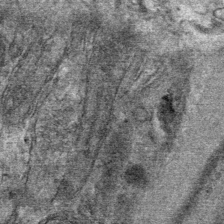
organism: Mouse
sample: Mouse Salivary gland